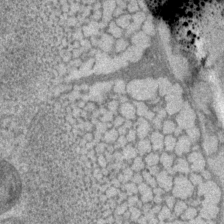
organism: P. pacificus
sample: Pharynx